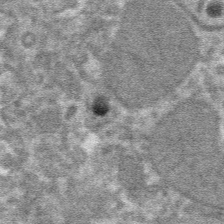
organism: Mouse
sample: Mouse hepatocytes